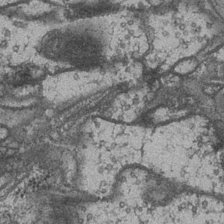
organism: Drosophila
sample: Optic medulla